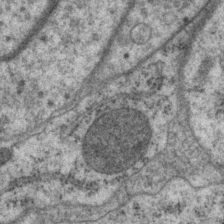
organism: P. pacificus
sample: Pharynx